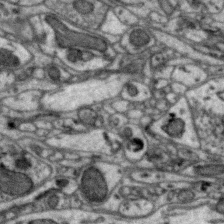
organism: Zebra finch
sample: Brain